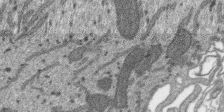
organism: Human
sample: Lung epithelial cells infected with SARS-CoV-2